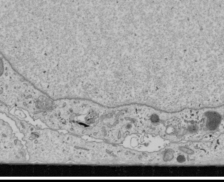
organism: Human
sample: Mitochondria in U2OS cells